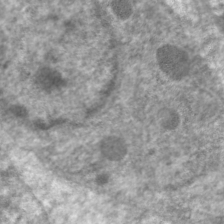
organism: C. elegans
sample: Pharynx